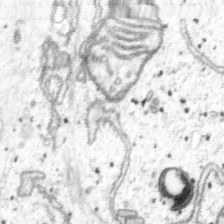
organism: Human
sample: HeLa cells